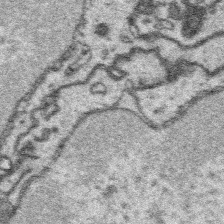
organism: Platynereis dumerilii